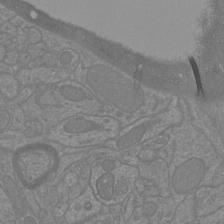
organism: Mouse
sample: Cortical neurons